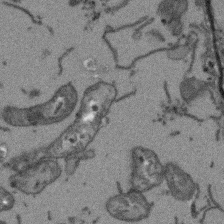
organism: Arabidopsis thaliana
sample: Root tip